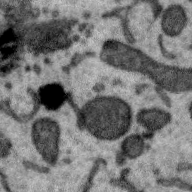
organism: Zebra finch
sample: Brain